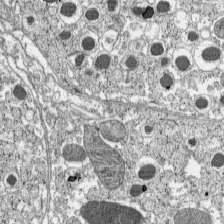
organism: C57BL Mouse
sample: Pancreatic islet